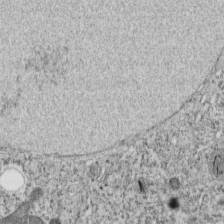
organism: C. elegans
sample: C. elegans embryo early stage